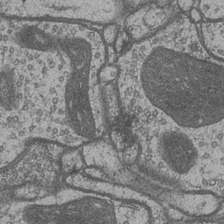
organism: Drosophila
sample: Optic medulla